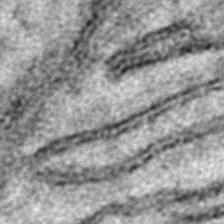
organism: C. elegans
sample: C. elegans embryo